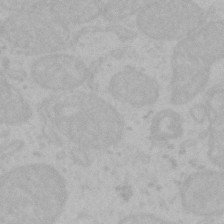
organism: Mouse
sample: Choroid plexus